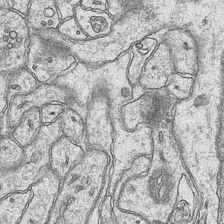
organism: Mouse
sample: CA1 Hippocampus